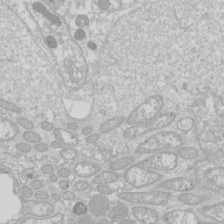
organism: Drosophila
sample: Cell division; meiosis; drosophila spermatocytes